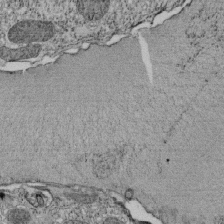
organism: Tetrahymena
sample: Cilia in tetrahymena